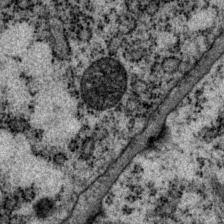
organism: P. pacificus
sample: Pharynx